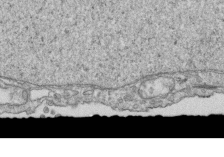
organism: Human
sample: HeLa cell HIV synapse